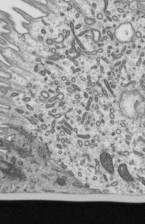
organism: Mouse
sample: Mouse epididymis efferent ductule cilia